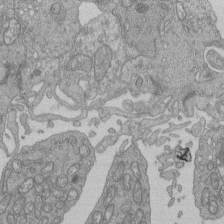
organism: Human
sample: Retinal organoid Rod and Cone cells